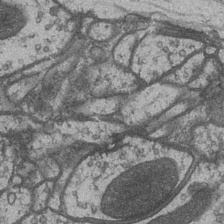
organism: Drosophila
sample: Optic medulla